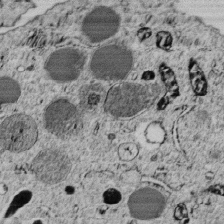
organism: C. elegans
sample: C. elegans embryo early stage